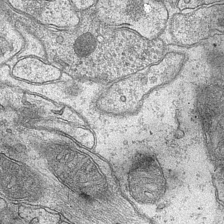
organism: Mouse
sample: CA1 Hippocampus